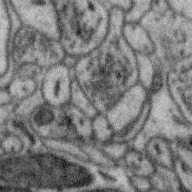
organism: Zebra finch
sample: Brain